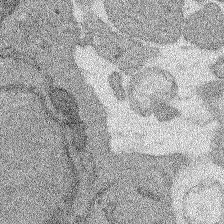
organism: Human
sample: HeLa cells